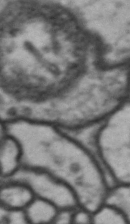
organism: Drosophila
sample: Brain